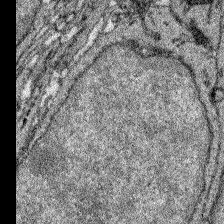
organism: Zebrafish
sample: Larval olfactory bulb